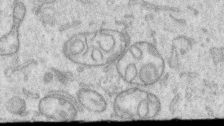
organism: Human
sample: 1205lu cells